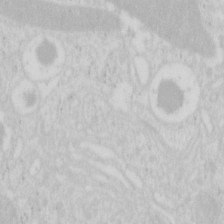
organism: Mouse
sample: Pancreas